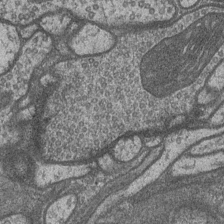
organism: Drosophila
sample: Optic medulla